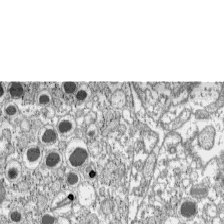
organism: C57BL Mouse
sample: Pancreatic islet